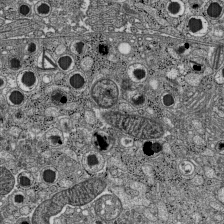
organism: C57BL Mouse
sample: Pancreatic islet